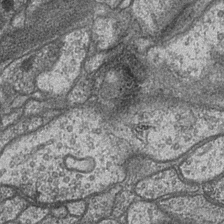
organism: Drosophila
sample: Optic medulla